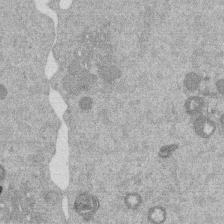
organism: Mouse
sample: Dividing mouse embryo 1 cell stage